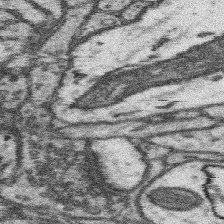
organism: Mouse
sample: Somatosensory cortex neuropil